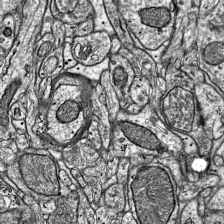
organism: Mouse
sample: Visual Cortex